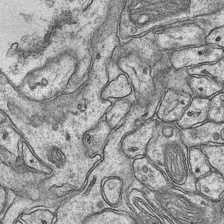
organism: Mouse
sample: CA1 Hippocampus